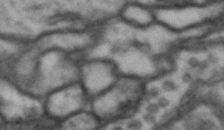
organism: Drosophila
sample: Brain